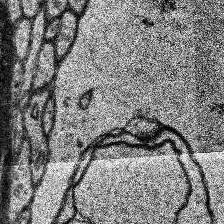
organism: Human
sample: Temporal Lobe